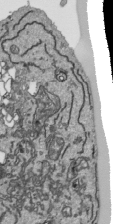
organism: Human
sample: Mitochondria in HCT116 cells